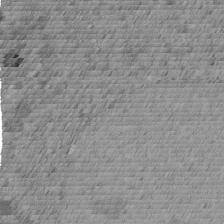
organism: C. elegans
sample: C. elegans embryo early stage